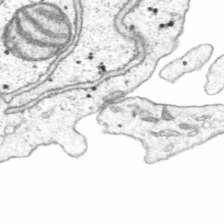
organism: Human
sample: HeLa cells